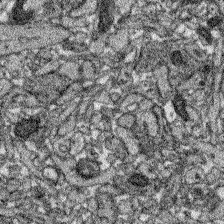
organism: Zebrafish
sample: Larval olfactory bulb